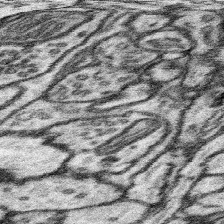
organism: Mouse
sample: Somatosensory cortex neuropil